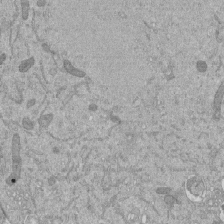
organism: Mouse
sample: ED-1 cell nuclei; centrioles